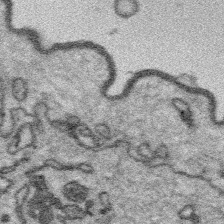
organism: Platynereis dumerilii